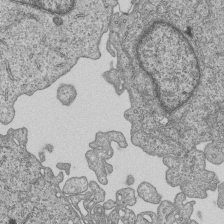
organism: Human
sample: MDA-MB-231 cells